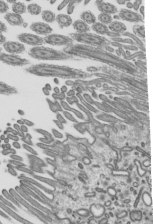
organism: Mouse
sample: Mouse epididymis efferent ductule cilia